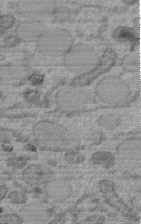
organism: C. elegans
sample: C. elegans embryo early stage